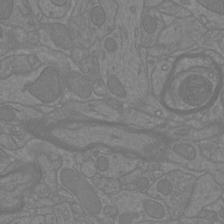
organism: Mouse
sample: Cortical neurons